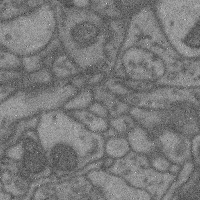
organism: Mouse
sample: Cerebral cortex